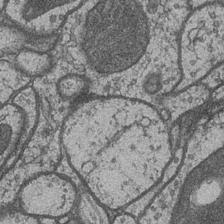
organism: Drosophila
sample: Optic medulla